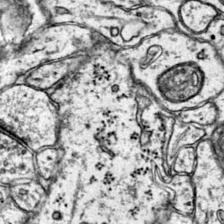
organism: Mouse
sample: Primary visual cortex